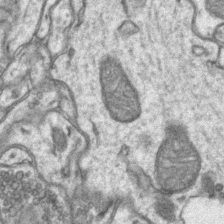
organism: Mouse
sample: CA1 Hippocampus